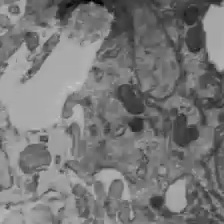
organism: C57BL Mouse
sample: Liver